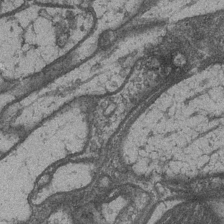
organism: Drosophila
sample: Optic medulla